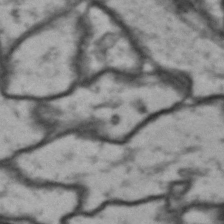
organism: Drosophila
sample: Brain